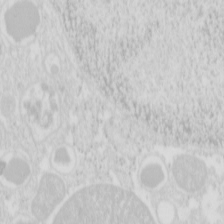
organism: Mouse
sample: Pancreas